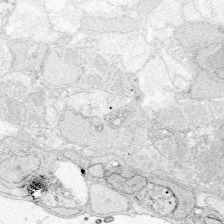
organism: Zebrafish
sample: Whole-Brain